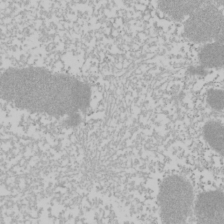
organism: Mouse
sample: Cancer cell death in ED-1 cells